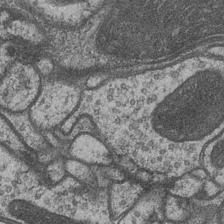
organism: Drosophila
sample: Optic medulla